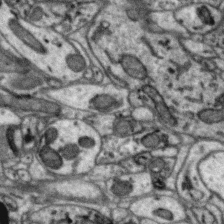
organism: Zebra finch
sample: Brain